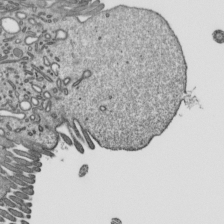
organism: Mouse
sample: Mouse epididymis efferent ductule cilia